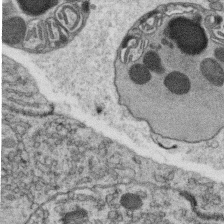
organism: C. elegans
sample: C. elegans oocyte; sperm cells